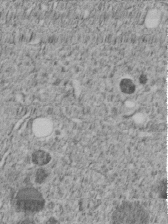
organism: C. elegans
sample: C. elegans embryo early stage